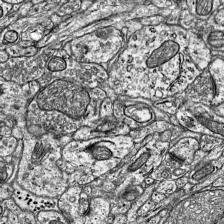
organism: Mouse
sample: Visual Cortex